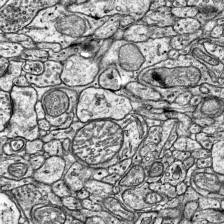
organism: Mouse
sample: Visual Cortex